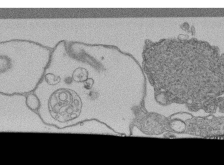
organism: Human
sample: Retinal organoid Rod and Cone cells